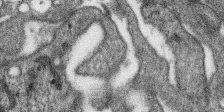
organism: Human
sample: Lung epithelial cells infected with SARS-CoV-2